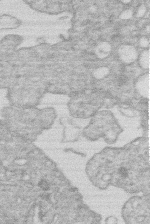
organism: Human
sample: Macrophage cells